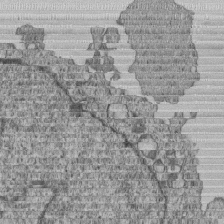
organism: Human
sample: MDA-MB-231 cells